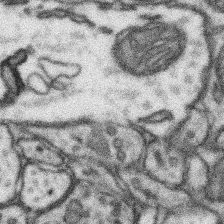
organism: Mouse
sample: Somatosensory cortex neuropil